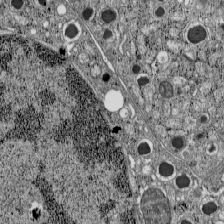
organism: C57BL Mouse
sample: Pancreatic islet